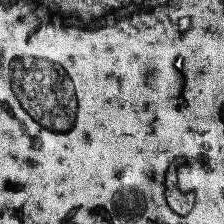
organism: Human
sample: Temporal Lobe